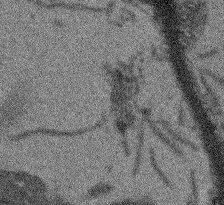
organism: Arabidopsis thaliana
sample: Root tip